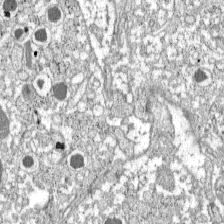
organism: C57BL Mouse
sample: Pancreatic islet